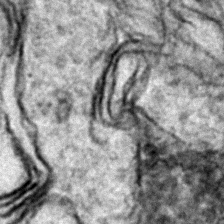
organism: Zebrafish